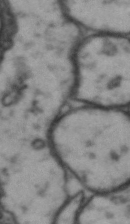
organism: Drosophila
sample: Brain